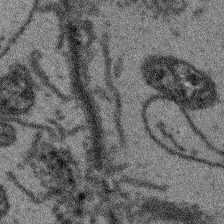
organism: Arabidopsis thaliana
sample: Root tip